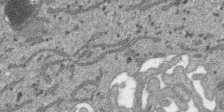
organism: Human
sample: Lung epithelial cells infected with SARS-CoV-2